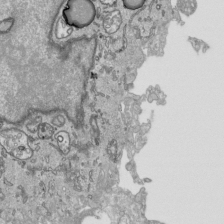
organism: Human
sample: Mitochondria in HCT116 cells